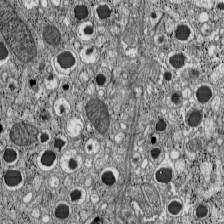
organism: C57BL Mouse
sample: Pancreatic islet